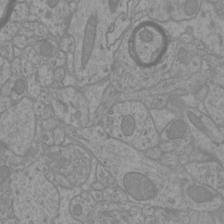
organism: Mouse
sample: Cortical neurons